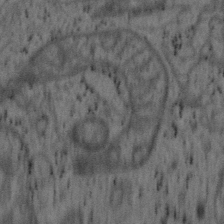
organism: Human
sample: HeLa cells